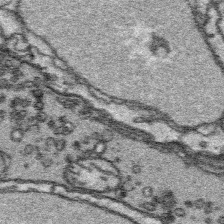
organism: Platynereis dumerilii